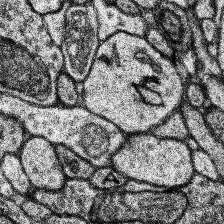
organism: Human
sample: Temporal Lobe